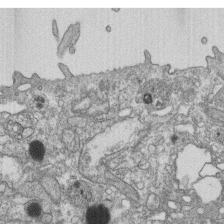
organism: Human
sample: HeLa cell HIV synapse